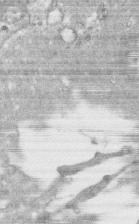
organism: Human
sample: CRL-1474